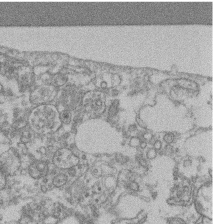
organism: Mouse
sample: T cell stromal cell synapse